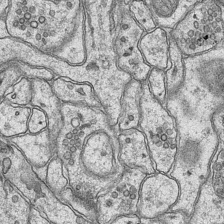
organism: Mouse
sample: CA1 Hippocampus